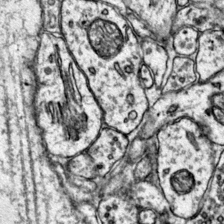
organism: Mouse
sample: Primary visual cortex